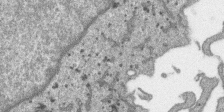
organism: Human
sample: Lung epithelial cells infected with SARS-CoV-2